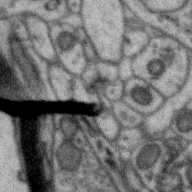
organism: Zebra finch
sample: Brain